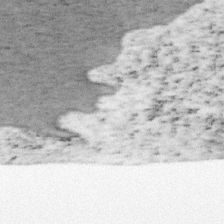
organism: Mouse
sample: OT-I killer T cells with ID8 ovarian cancer cells